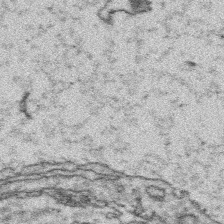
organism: Platynereis dumerilii